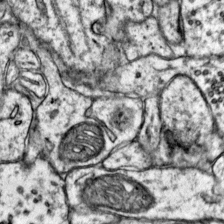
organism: Mouse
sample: Primary visual cortex